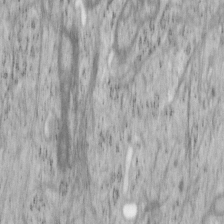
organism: Human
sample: HeLa cells